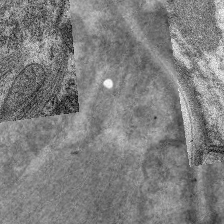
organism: C. elegans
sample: Pharynx